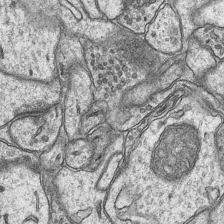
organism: Mouse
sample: CA1 Hippocampus